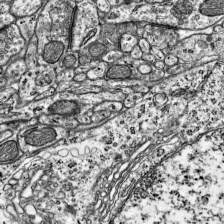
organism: Mouse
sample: Visual Cortex